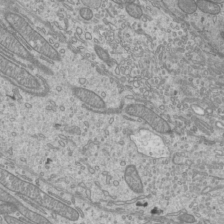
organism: Mouse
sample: Cilia; mouse epididymis